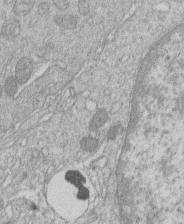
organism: Human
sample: Macrophage cells